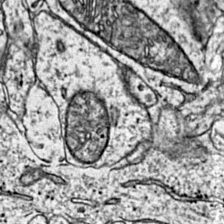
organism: Mouse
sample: Primary visual cortex